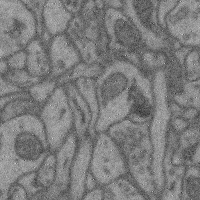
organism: Mouse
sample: Cerebral cortex